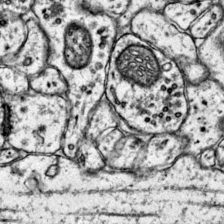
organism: Mouse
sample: Primary visual cortex